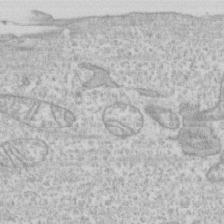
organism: Human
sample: CRL-1474